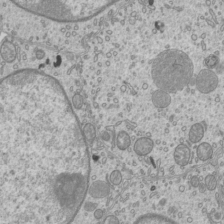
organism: Mouse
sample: Cilia; mouse epididymis